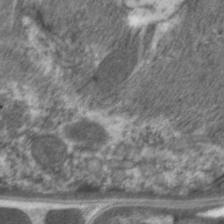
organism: C. elegans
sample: Pharynx